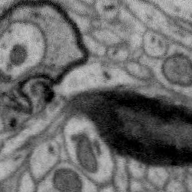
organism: Zebra finch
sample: Brain